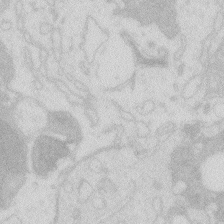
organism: Zebrafish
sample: Macrophage